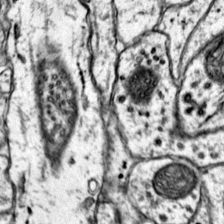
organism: Mouse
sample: Primary visual cortex